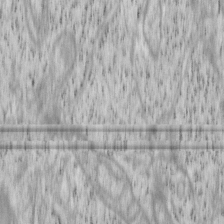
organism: Human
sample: HeLa cells